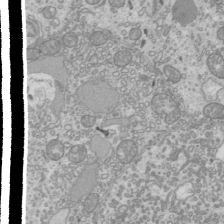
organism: Mouse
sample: Cilia; mouse epididymis